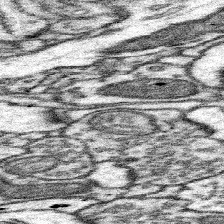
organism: Mouse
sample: Somatosensory cortex neuropil